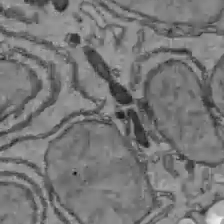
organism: C57BL Mouse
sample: Liver